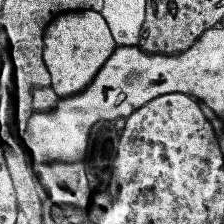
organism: Human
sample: Temporal Lobe